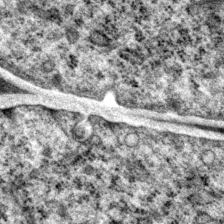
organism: P. pacificus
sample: Pharynx